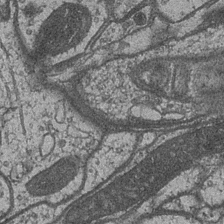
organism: Drosophila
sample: Optic medulla